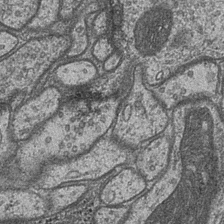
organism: Drosophila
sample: Optic medulla